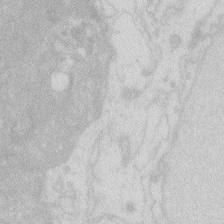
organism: Zebrafish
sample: Macrophage